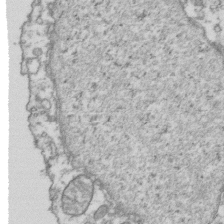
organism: Human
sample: Activated Jurkat CD4+ T cells